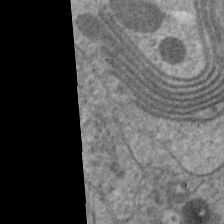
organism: C. elegans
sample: Pharynx